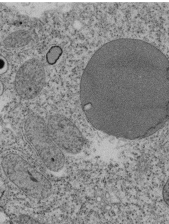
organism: Tetrahymena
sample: Cilia in tetrahymena